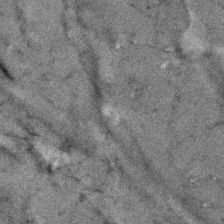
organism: Human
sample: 1205lu cells